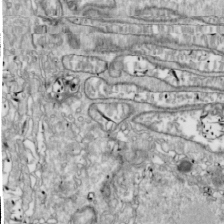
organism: Drosophila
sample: Cell division; meiosis; drosophila spermatocytes